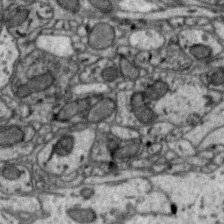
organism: Zebra finch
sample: Brain